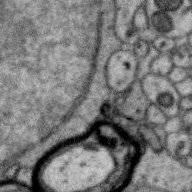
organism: Zebra finch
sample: Brain